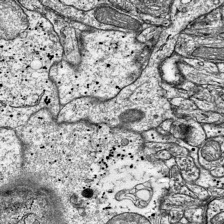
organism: Mouse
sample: Visual Cortex